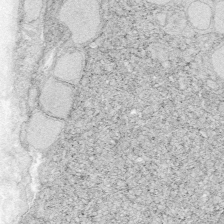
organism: Zebrafish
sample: Whole-Brain